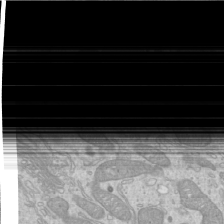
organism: Mouse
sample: Cilia; mouse epididymis